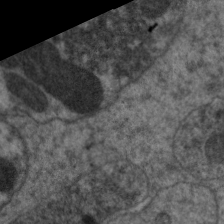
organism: C. elegans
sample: Pharynx